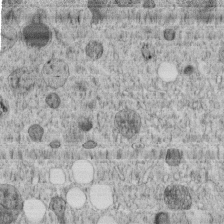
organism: C. elegans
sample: C. elegans embryo early stage